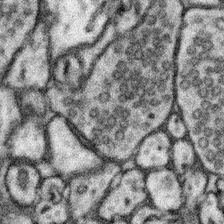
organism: Mouse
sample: Somatosensory cortex neuropil